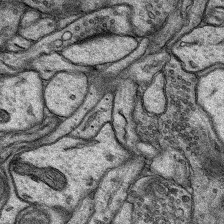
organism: Rat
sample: Hippocampus